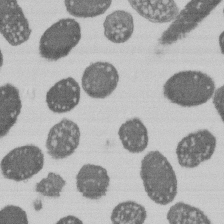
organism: E. coli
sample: Bacterial nucleoid